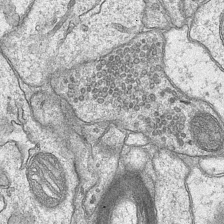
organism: Mouse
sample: CA1 Hippocampus